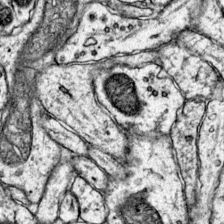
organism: Mouse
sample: Primary visual cortex